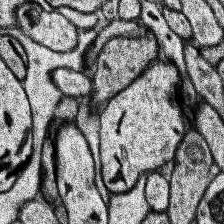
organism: Human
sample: Temporal Lobe